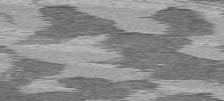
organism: C57BL Mouse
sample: Heart